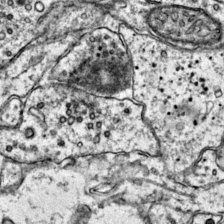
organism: Mouse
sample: Primary visual cortex